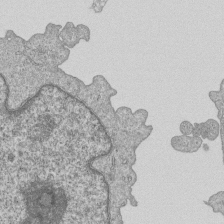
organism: Human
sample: MDA-MB-231 cells